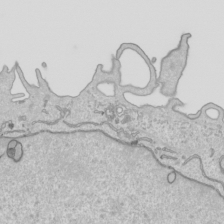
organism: Human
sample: Mitochondria in HCT116 cells